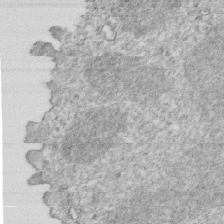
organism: Mouse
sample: Activated OT-1 CD8+ T cells